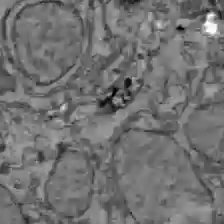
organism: C57BL Mouse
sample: Liver